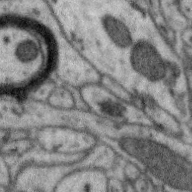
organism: Zebra finch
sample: Brain